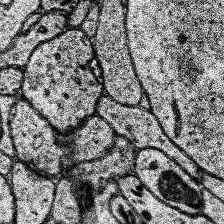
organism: Human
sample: Temporal Lobe